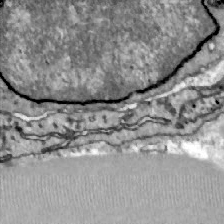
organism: Zebrafish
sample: Actinotrichia fibers